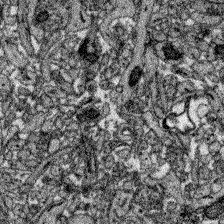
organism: Zebrafish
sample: Larval olfactory bulb